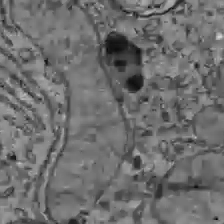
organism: C57BL Mouse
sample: Liver